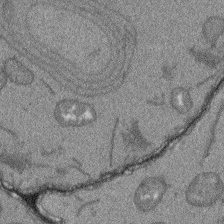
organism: Arabidopsis thaliana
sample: Root tip